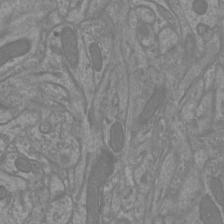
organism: Mouse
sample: Cortical neurons